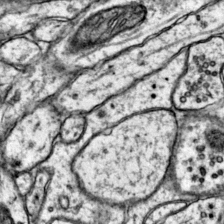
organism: Mouse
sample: Primary visual cortex